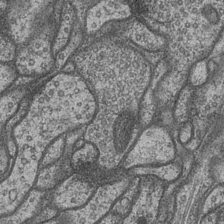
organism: Drosophila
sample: Optic medulla